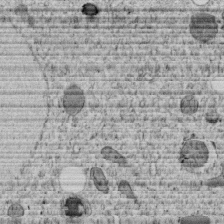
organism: C. elegans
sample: C. elegans embryo early stage